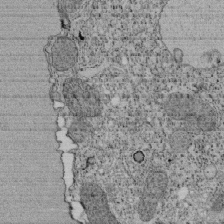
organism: Tetrahymena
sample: Cilia in tetrahymena